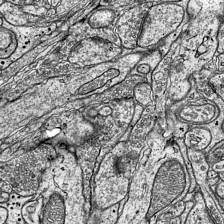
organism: Mouse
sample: Visual Cortex